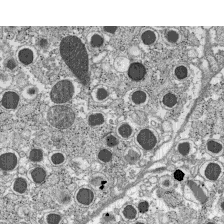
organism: C57BL Mouse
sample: Pancreatic islet